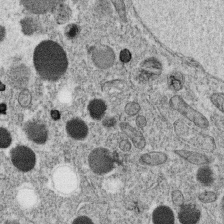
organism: C. elegans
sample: C. elegans oocyte; sperm cells